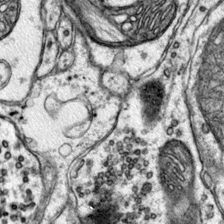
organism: Mouse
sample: Primary visual cortex